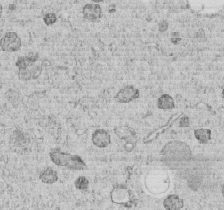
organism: C. elegans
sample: C. elegans embryo early stage